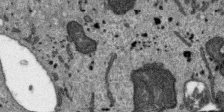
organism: Human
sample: Lung epithelial cells, uninfected (mock) control